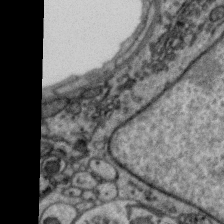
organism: Zebra finch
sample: Brain